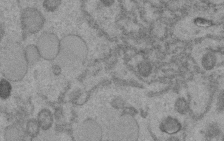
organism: C. elegans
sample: C. elegans embryo early stage